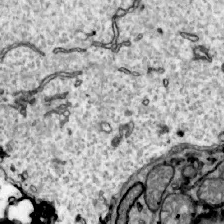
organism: Zebrafish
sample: Actinotrichia fibers